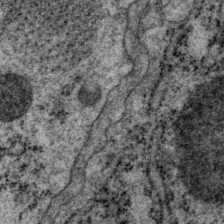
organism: P. pacificus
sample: Pharynx